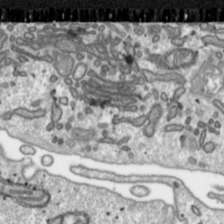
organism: Toxoplasma gondii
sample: Parasites in a vacuole inside a host cell